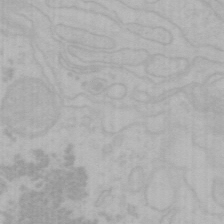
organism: Mouse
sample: Choroid plexus